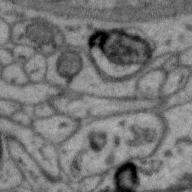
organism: Zebra finch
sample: Brain